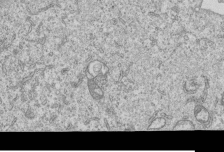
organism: Human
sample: MDA-MB-231 cells